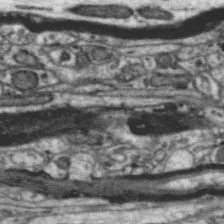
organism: Zebra finch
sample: Brain